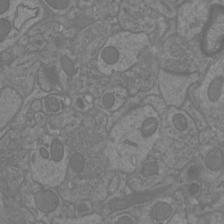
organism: Mouse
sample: Cortical neurons